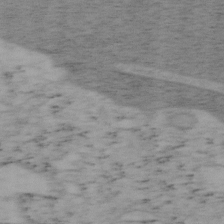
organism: Mouse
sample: OT-I killer T cells with ID8 ovarian cancer cells